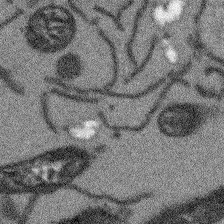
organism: Arabidopsis thaliana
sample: Root tip